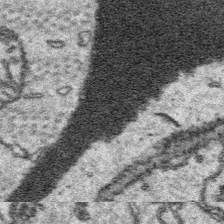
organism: Platynereis dumerilii